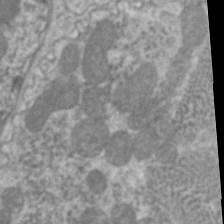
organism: C. elegans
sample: Pharynx